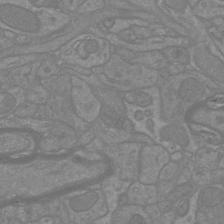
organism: Mouse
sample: Cortical neurons